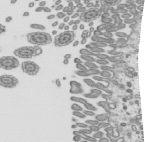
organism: Mouse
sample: Mouse epididymis efferent ductule cilia